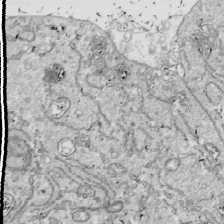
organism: Drosophila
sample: Cell division; meiosis; drosophila spermatocytes